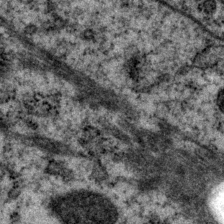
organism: P. pacificus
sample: Pharynx